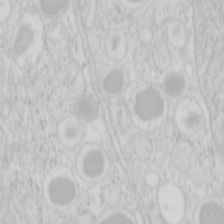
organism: Mouse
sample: Pancreas